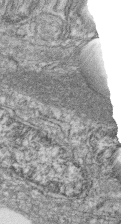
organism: Zebrafish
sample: Cilia; retinal pigment epithelium